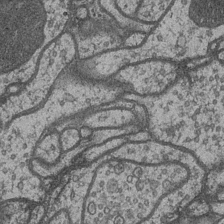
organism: Drosophila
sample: Optic medulla